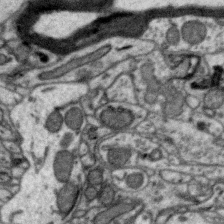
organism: Zebra finch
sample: Brain